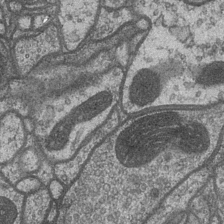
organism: Drosophila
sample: Optic medulla